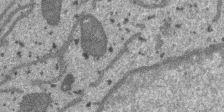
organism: Human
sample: Lung epithelial cells infected with SARS-CoV-2